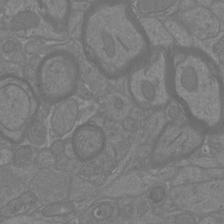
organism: Mouse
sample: Cortical neurons